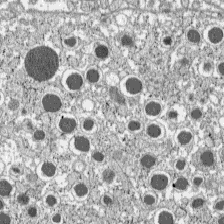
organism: C57BL Mouse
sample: Pancreatic islet